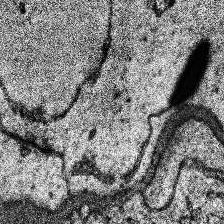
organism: Human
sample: Temporal Lobe